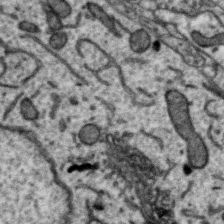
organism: Zebra finch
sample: Brain